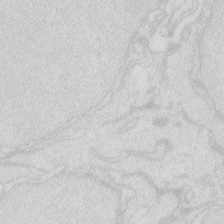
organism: Zebrafish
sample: Macrophage